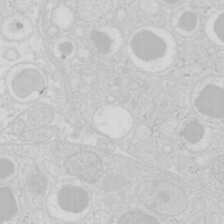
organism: Mouse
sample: Pancreas